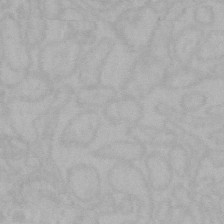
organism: Mouse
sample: Choroid plexus